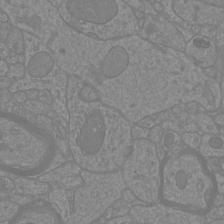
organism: Mouse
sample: Cortical neurons